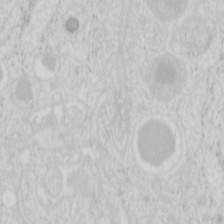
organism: Mouse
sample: Pancreas